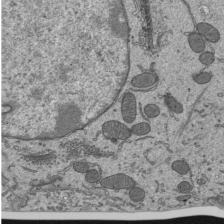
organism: Mouse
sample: Mouse epididymis efferent ductule cilia